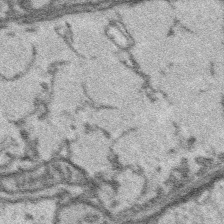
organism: Platynereis dumerilii